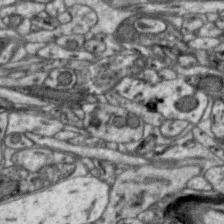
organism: Zebra finch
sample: Brain